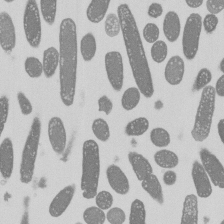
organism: E. coli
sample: Bacterial nucleoid